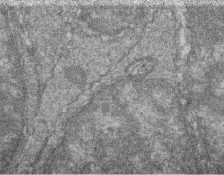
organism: Zebrafish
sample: Cilia; retinal pigment epithelium